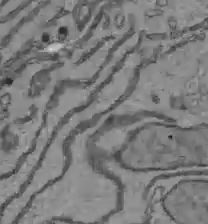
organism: C57BL Mouse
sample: Liver